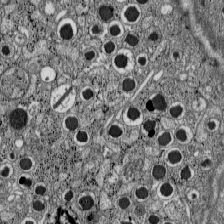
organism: C57BL Mouse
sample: Pancreatic islet